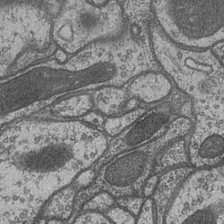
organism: Drosophila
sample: Optic medulla